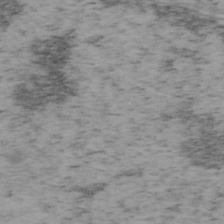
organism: Mouse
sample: OT-I killer T cells with ID8 ovarian cancer cells